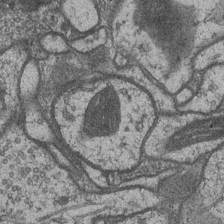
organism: Drosophila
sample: Optic medulla